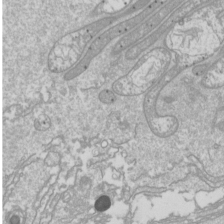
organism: Drosophila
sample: Cell division; meiosis; drosophila spermatocytes